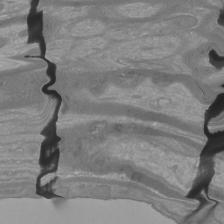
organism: Mouse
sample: Cortical neurons